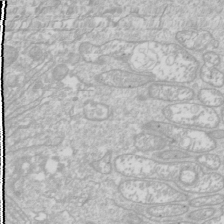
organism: Drosophila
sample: Cell division; meiosis; drosophila spermatocytes